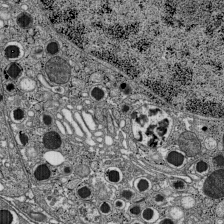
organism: C57BL Mouse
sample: Pancreatic islet